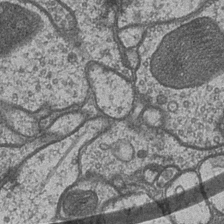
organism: Drosophila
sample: Optic medulla